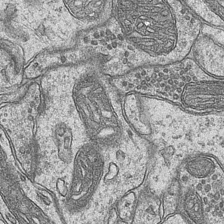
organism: Mouse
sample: CA1 Hippocampus